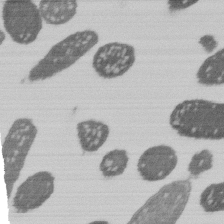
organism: E. coli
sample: Bacterial nucleoid